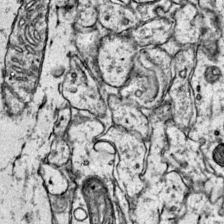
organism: Mouse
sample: Primary visual cortex